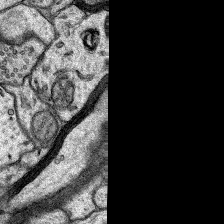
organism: Rat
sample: Hippocampus